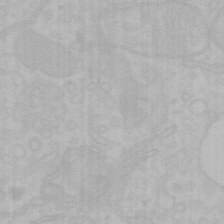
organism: Mouse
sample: Choroid plexus